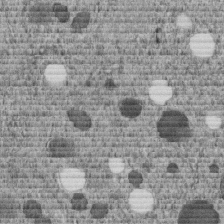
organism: C. elegans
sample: C. elegans embryo early stage